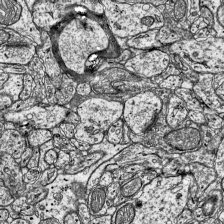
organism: Mouse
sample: Visual Cortex